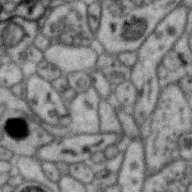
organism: Zebra finch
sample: Brain